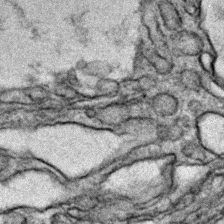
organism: Zebrafish